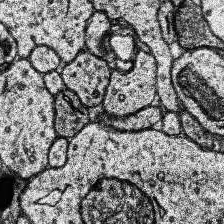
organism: Human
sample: Temporal Lobe